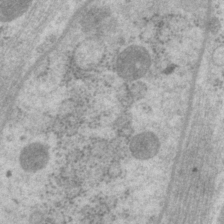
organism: P. pacificus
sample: Pharynx